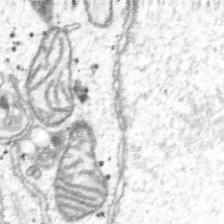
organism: Human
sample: HeLa cells